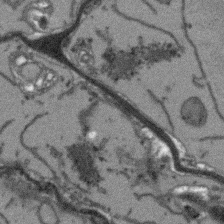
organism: Arabidopsis thaliana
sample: Root tip